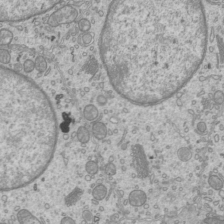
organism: Mouse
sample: Cilia; mouse epididymis